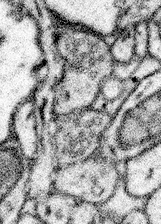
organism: Mouse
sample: Somatosensory cortex neuropil